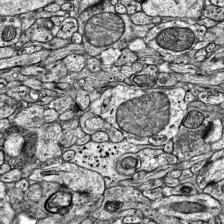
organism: Mouse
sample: Visual Cortex